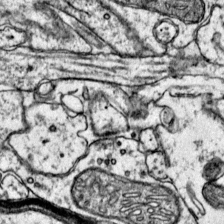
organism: Mouse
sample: Primary visual cortex